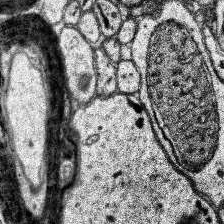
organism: Human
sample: Temporal Lobe